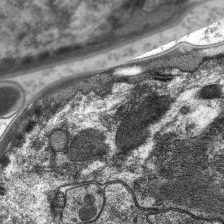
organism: C. elegans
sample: Pharynx